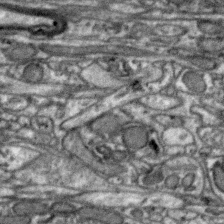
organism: Zebra finch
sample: Brain